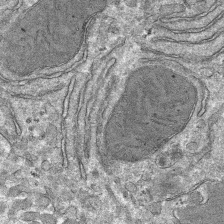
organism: Mouse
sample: Mouse hepatocytes